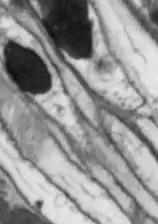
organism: Drosophila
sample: Optic lobe